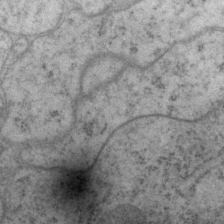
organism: P. pacificus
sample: Pharynx